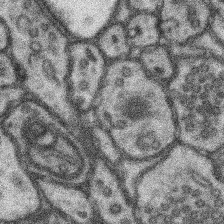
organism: Mouse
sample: Somatosensory cortex neuropil